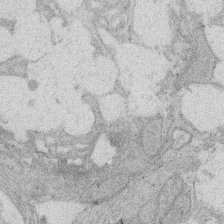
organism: Rat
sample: Salivary granule